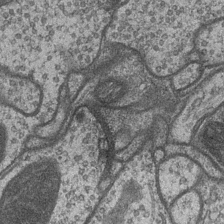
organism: Drosophila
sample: Optic medulla